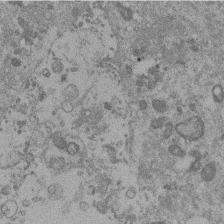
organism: Mouse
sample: Dividing mouse embryo 1 cell stage